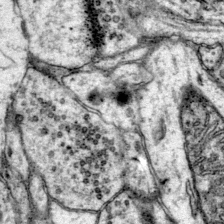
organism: Mouse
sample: Primary visual cortex